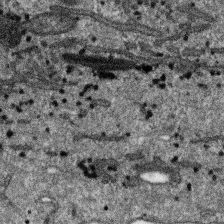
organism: Human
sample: Lung epithelial cells infected with SARS-CoV-2